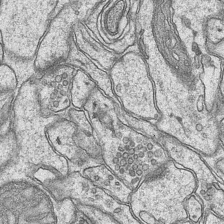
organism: Mouse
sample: CA1 Hippocampus